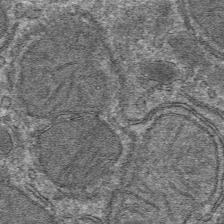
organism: Mouse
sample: Mouse hepatocytes